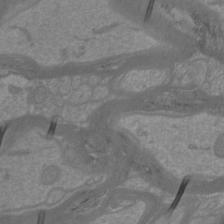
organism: Mouse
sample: Cortical neurons